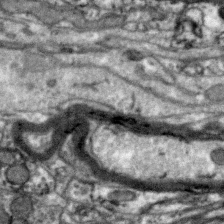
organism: Zebra finch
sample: Brain